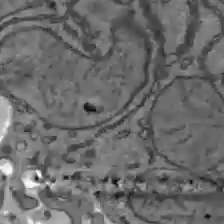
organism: C57BL Mouse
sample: Liver